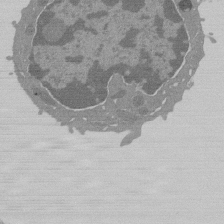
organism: Mouse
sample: Activated Pmel transgenic CD8+ T Cells